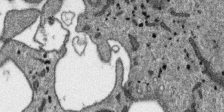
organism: Human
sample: Lung epithelial cells, uninfected (mock) control